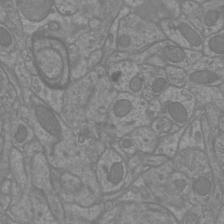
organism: Mouse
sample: Cortical neurons